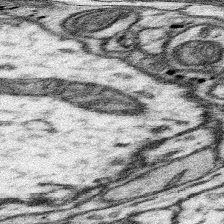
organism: Mouse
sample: Somatosensory cortex neuropil